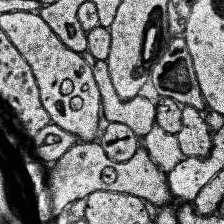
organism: Human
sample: Temporal Lobe